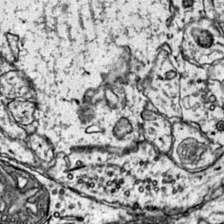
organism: Mouse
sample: Primary visual cortex